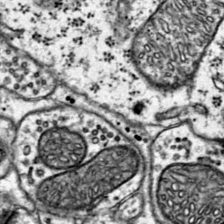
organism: Mouse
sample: Primary visual cortex